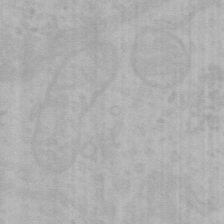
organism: Mouse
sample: Choroid plexus